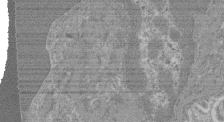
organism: Mouse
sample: Glomerulus